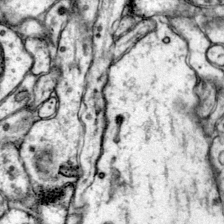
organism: Mouse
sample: Primary visual cortex